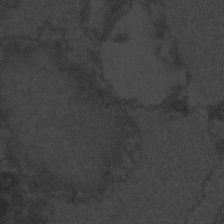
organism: Zebrafish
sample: Macrophage infected with Toxoplasma gondii